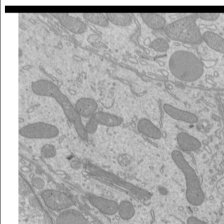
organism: Mouse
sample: Cilia; mouse epididymis